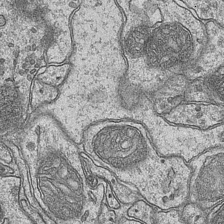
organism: Mouse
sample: CA1 Hippocampus